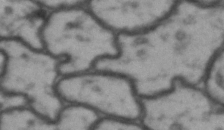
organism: Drosophila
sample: Brain